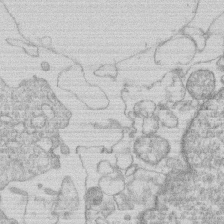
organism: Human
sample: Macrophage cells